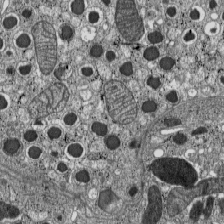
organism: C57BL Mouse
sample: Pancreatic islet